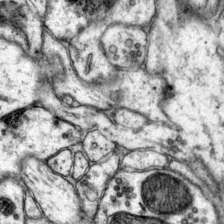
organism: Mouse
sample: Primary visual cortex